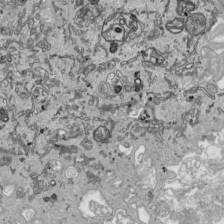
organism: Human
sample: Mitochondria in HCT116 cells